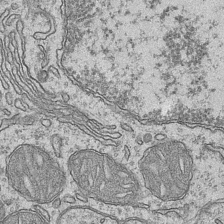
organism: Mouse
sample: CA1 Hippocampus